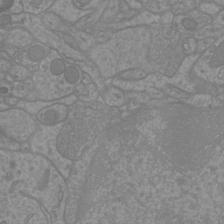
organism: Mouse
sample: Cortical neurons